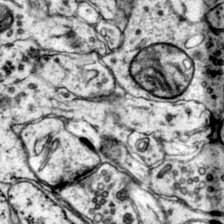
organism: Mouse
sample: Primary visual cortex